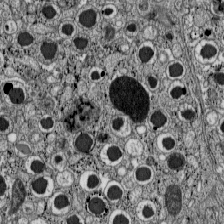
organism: C57BL Mouse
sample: Pancreatic islet